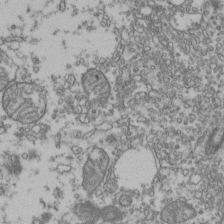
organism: Human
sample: Activated Jurkat CD4+ T cells